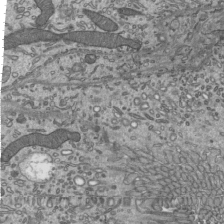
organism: Mouse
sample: Mouse epididymis efferent ductule cilia